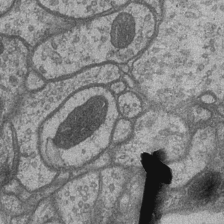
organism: Drosophila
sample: Optic medulla